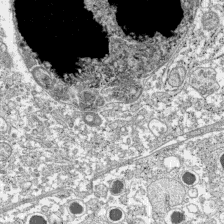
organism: C57BL Mouse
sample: Pancreatic islet